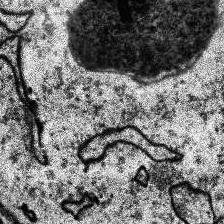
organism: Human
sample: Temporal Lobe